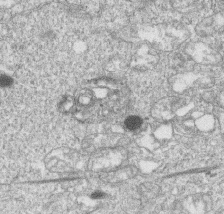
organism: Human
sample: HeLa cell HIV synapse